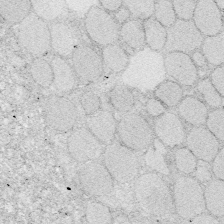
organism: Zebrafish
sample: Whole-Brain